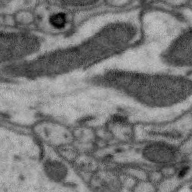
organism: Zebra finch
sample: Brain